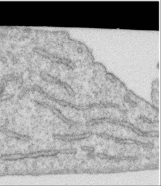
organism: Human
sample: Centriole in RPE cells